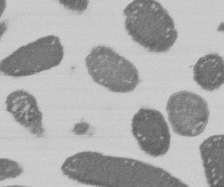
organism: E. coli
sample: Bacterial nucleoid